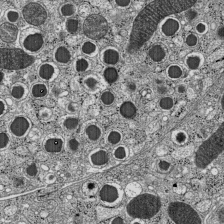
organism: C57BL Mouse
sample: Pancreatic islet